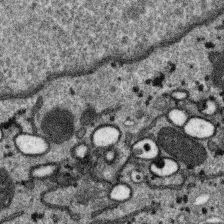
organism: Human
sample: Lung epithelial cells infected with SARS-CoV-2